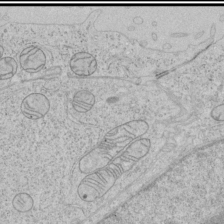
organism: Human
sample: Mitochondria in HCT116 cells